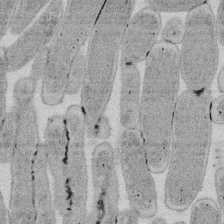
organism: E. coli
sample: Bacterial nucleoid